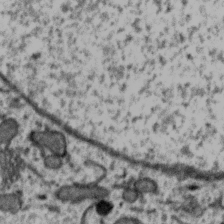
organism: Zebra finch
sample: Brain